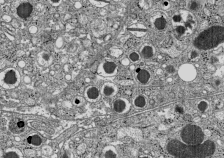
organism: C57BL Mouse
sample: Pancreatic islet